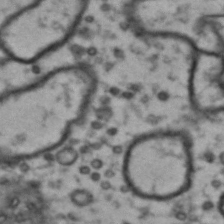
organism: Drosophila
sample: Brain